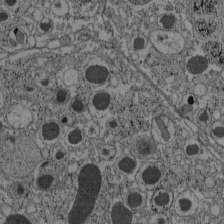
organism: C57BL Mouse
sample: Pancreatic islet